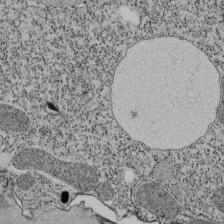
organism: Tetrahymena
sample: Cilia in tetrahymena